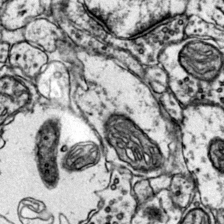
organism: Mouse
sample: Primary visual cortex